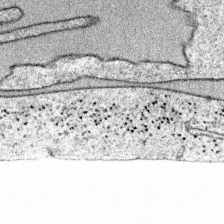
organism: Human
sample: HeLa cells